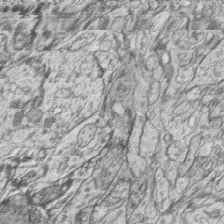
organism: Zebrafish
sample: synaptic ribbons in rod cells and cone cells